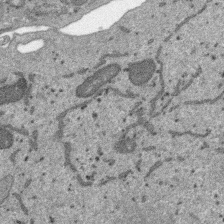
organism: Human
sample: Lung epithelial cells infected with SARS-CoV-2